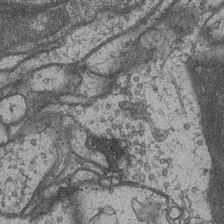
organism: Drosophila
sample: Optic medulla